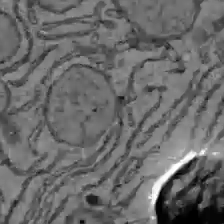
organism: C57BL Mouse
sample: Liver